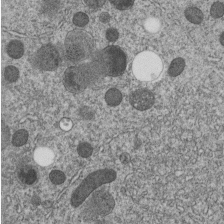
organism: C. elegans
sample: C. elegans embryo early stage